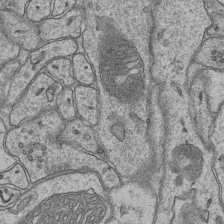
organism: Mouse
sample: CA1 Hippocampus